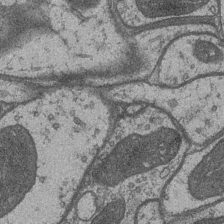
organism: Drosophila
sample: Optic medulla